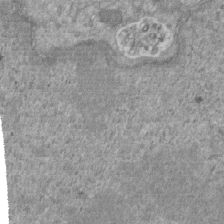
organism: Mouse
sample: ED-1 cell nuclei; centrioles